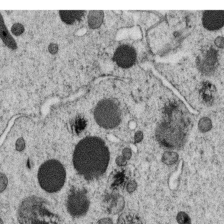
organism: C. elegans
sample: C. elegans oocyte; sperm cells